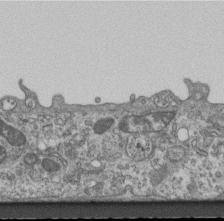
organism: Mouse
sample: Centriole in ependymal cells